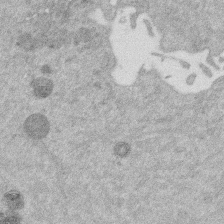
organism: Mouse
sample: Dividing mouse embryo 1 cell stage